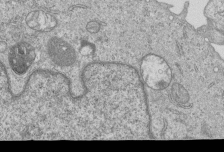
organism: Human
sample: MDA-MB-231 cells